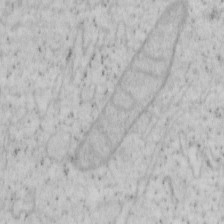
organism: Human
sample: HeLa cells